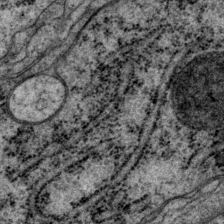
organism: P. pacificus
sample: Pharynx